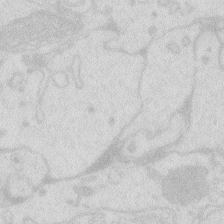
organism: Zebrafish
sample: Macrophage